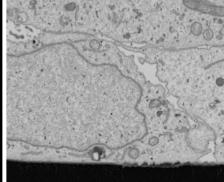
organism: Human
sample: Mitochondria in U2OS cells